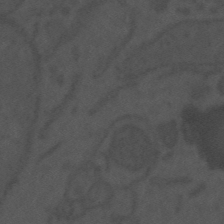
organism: Mouse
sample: Suprachiasmatic nucleus